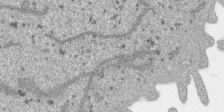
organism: Human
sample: Lung epithelial cells infected with SARS-CoV-2